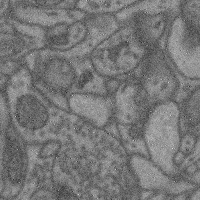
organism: Mouse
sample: Cerebral cortex